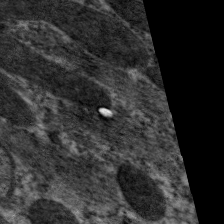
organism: C. elegans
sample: Pharynx